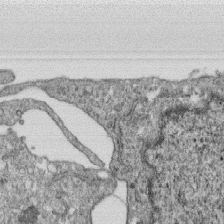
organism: African green monkey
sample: Vero E6 cells infected with SARS-CoV-2